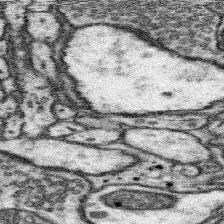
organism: Mouse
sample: Somatosensory cortex neuropil